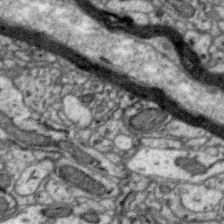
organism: Zebra finch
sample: Brain